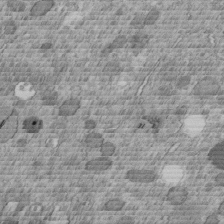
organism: C. elegans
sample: C. elegans embryo early stage